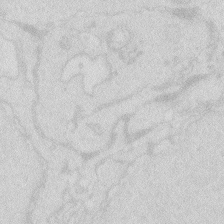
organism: Zebrafish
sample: Macrophage